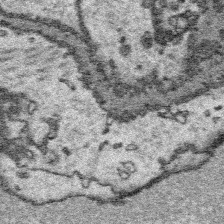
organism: Platynereis dumerilii